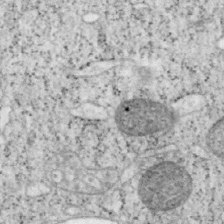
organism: Mouse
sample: OT-I killer T cells with ID8 ovarian cancer cells